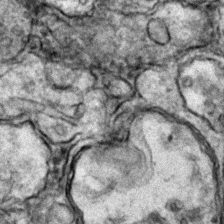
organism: Zebrafish